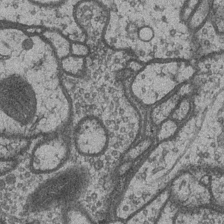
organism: Drosophila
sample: Optic medulla